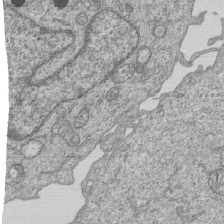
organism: Human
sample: MDA-MB-231 cells